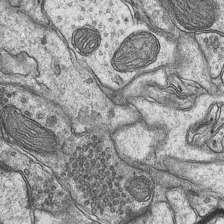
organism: Mouse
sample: CA1 Hippocampus